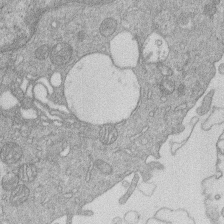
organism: Human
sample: Macrophage cells